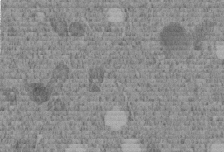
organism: C. elegans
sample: C. elegans embryo early stage